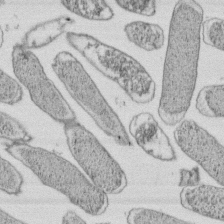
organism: E. coli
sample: Bacterial nucleoid